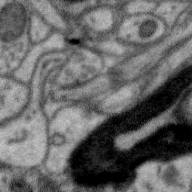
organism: Zebra finch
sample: Brain